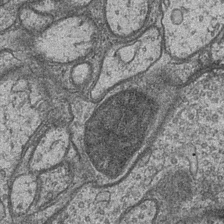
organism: Drosophila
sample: Optic medulla